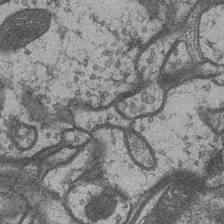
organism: Drosophila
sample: Optic medulla